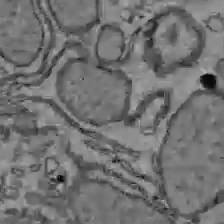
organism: C57BL Mouse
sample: Liver